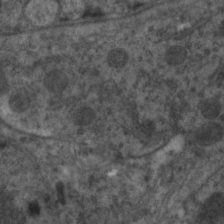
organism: C. elegans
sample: Pharynx